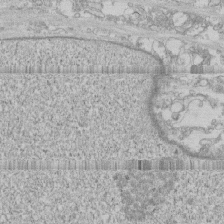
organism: Human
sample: CRL-1474